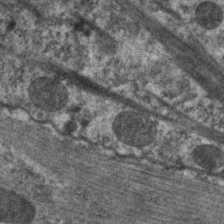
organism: C. elegans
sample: Pharynx